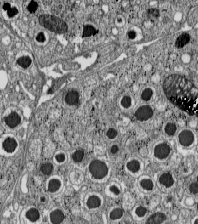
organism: C57BL Mouse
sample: Pancreatic islet